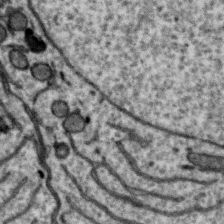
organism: Zebra finch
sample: Brain